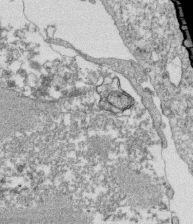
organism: Human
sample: HeLa cell HIV synapse